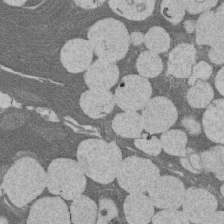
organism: Rat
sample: Salivary granule